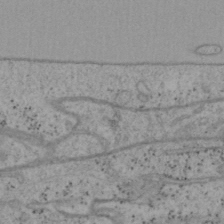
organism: Human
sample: HeLa cells